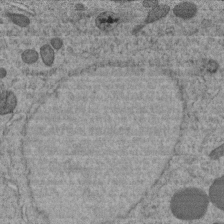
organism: C. elegans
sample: C. elegans embryo early stage